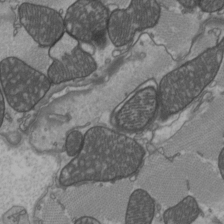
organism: C57BL Mouse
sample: Heart